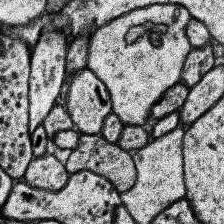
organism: Human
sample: Temporal Lobe